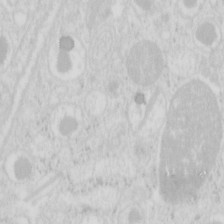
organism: Mouse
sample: Pancreas